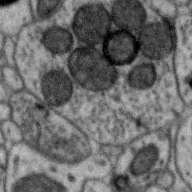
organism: Zebra finch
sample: Brain